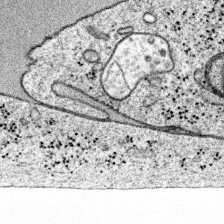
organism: Human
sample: HeLa cells